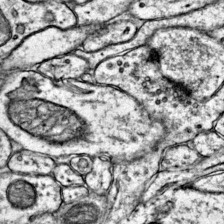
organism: Mouse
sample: Primary visual cortex